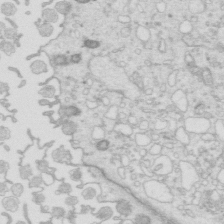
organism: Mouse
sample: Multiciliated cells